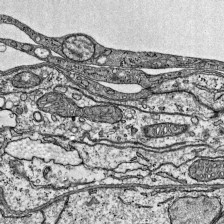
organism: Mouse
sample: Visual Cortex